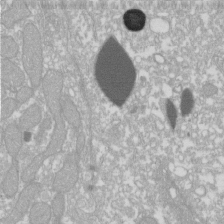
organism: Xenopus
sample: Cilia; centrioles in frog embryo cells